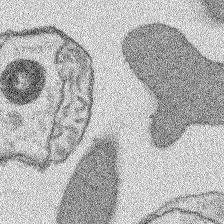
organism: Human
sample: HeLa cells